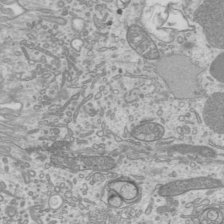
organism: Mouse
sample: Cilia; mouse epididymis